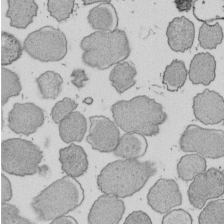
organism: E. coli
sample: Bacterial nucleoid